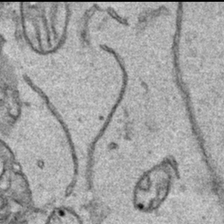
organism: Human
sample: Mitochondria in HCT116 cells